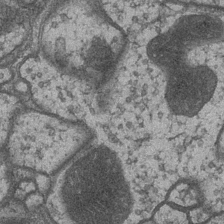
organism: Drosophila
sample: Optic medulla